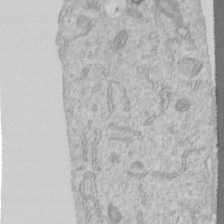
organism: Human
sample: Centriole in RPE cells